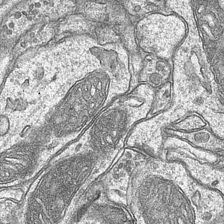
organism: Mouse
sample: CA1 Hippocampus